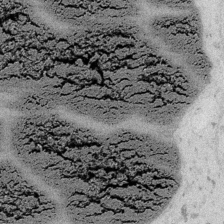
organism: Embia sp.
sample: Silk gland